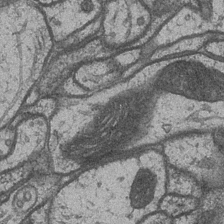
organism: Drosophila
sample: Optic medulla